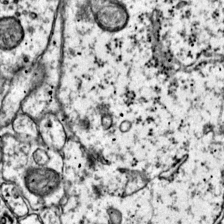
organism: Mouse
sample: Primary visual cortex